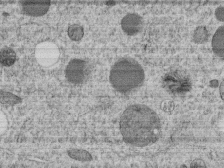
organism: C. elegans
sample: C. elegans embryo early stage